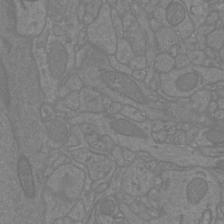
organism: Mouse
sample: Cortical neurons